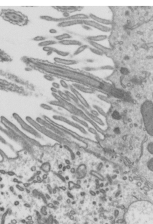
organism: Mouse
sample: Mouse epididymis efferent ductule cilia